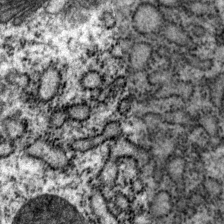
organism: P. pacificus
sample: Pharynx